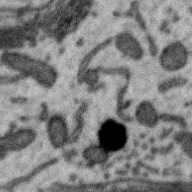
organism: Zebra finch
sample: Brain